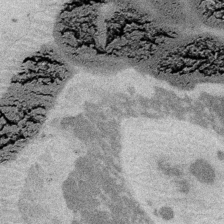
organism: Embia sp.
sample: Silk gland